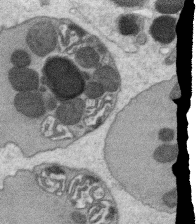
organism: C. elegans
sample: C. elegans oocyte; sperm cells